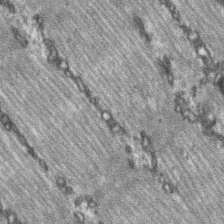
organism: C57BL Mouse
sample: Soleus